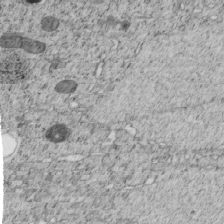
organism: C. elegans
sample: C. elegans embryo early stage